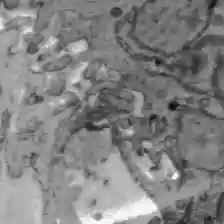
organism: C57BL Mouse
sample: Liver